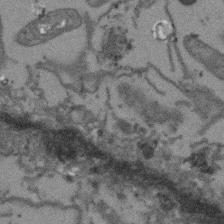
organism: Arabidopsis thaliana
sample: Root tip